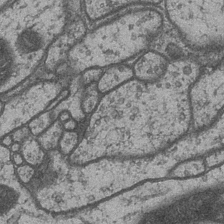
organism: Drosophila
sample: Optic medulla